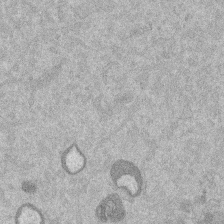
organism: Mouse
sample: Dividing mouse embryo 1 cell stage